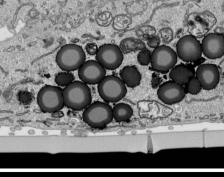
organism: Human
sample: Mitochondria in HCT116 cells